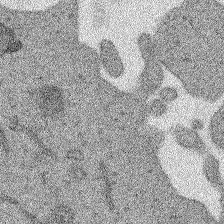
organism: Human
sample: HeLa cells